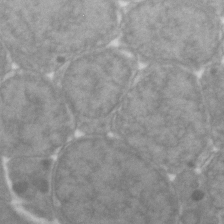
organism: Zebrafish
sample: Zebrafish embryo